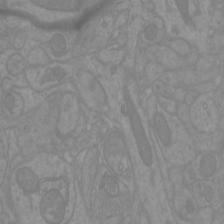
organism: Mouse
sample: Cortical neurons